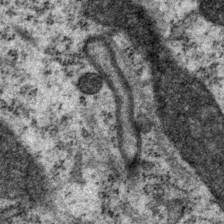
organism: P. pacificus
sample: Pharynx